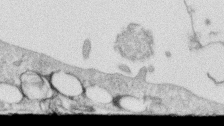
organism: Human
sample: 1205lu cells